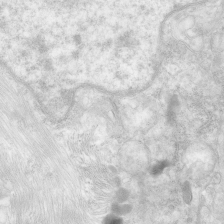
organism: Human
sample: Neocortex